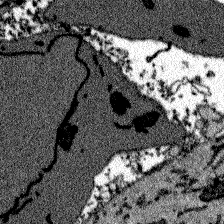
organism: Zebrafish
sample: Larval olfactory bulb